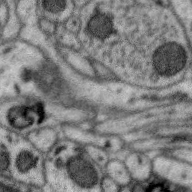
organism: Zebra finch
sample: Brain